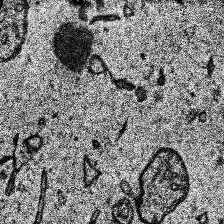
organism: Human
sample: Temporal Lobe